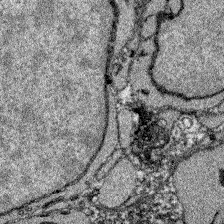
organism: Zebrafish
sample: Larval olfactory bulb